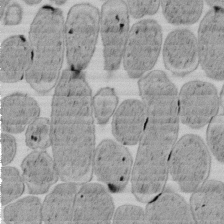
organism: E. coli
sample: Bacterial nucleoid